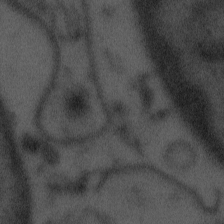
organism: Tuwongella immobilis